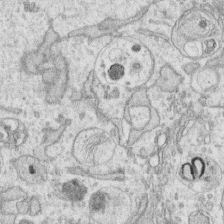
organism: Human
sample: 1205lu cells